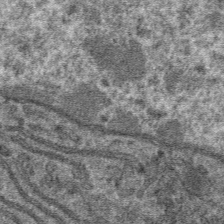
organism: Mouse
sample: Mouse hepatocytes